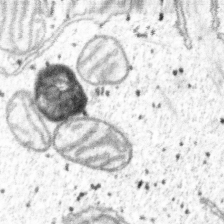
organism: Human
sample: HeLa cells